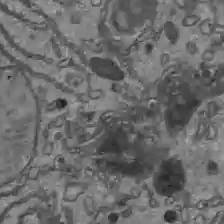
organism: C57BL Mouse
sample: Liver